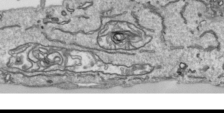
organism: Human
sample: Mitochondria in HCT116 cells